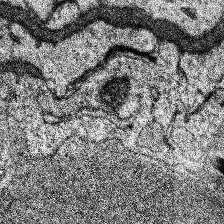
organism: Human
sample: Temporal Lobe